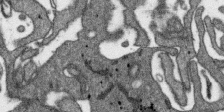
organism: Human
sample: Lung epithelial cells, uninfected (mock) control